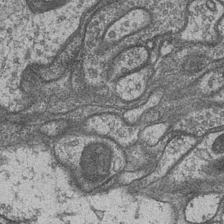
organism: Drosophila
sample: Optic medulla